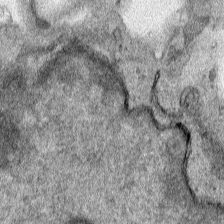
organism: Human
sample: Mitochondria in HCT116 cells